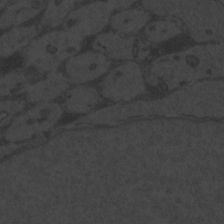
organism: Zebrafish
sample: Macrophage infected with Toxoplasma gondii